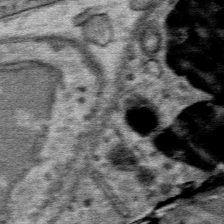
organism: Mouse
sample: Mouse Salivary gland